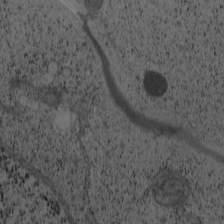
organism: African green monkey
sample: COS-7 cells